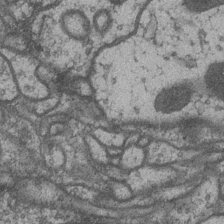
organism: Drosophila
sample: Optic medulla